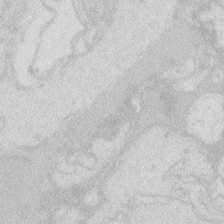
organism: Zebrafish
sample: Macrophage